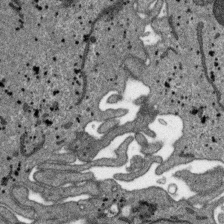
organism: Human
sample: Lung epithelial cells, uninfected (mock) control